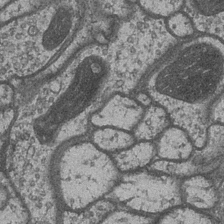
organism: Drosophila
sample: Optic medulla